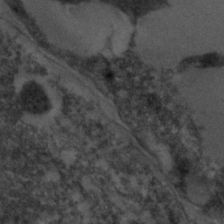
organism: C. elegans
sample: C. elegans embryo